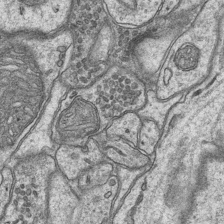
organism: Mouse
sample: CA1 Hippocampus